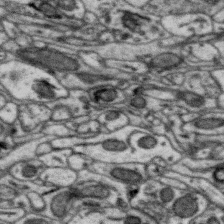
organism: Zebra finch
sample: Brain